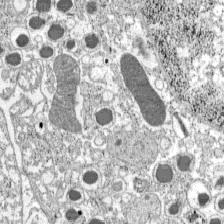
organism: C57BL Mouse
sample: Pancreatic islet